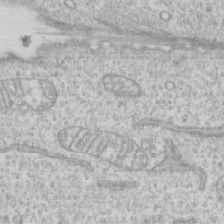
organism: Human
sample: CRL-1474